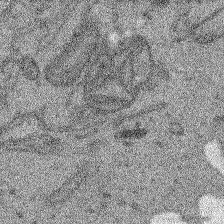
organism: Human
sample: HeLa cells